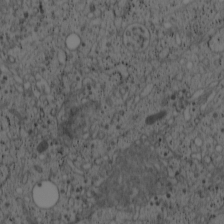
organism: African green monkey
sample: COS-7 cells